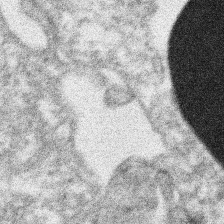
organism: Xenopus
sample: Cilia; centrioles in frog embryo cells